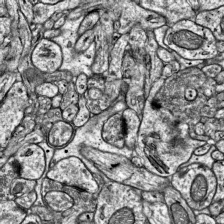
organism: Mouse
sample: Visual Cortex